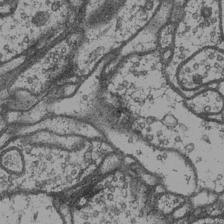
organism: Drosophila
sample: Optic medulla